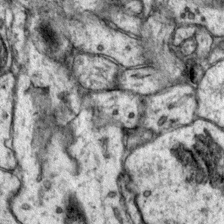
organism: Mouse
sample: Primary visual cortex